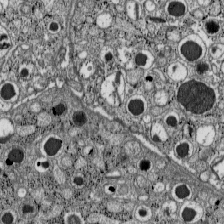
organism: C57BL Mouse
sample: Pancreatic islet